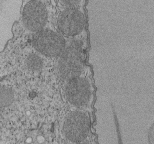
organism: Tetrahymena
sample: Cilia in tetrahymena